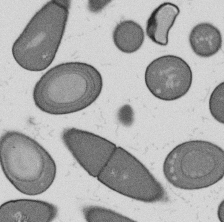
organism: B. subtilis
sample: Bacterial spore